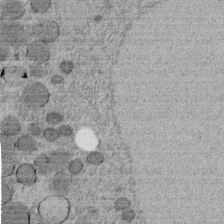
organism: C. elegans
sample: C. elegans embryo early stage